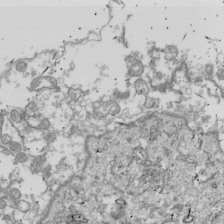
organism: Drosophila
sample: Cell division; meiosis; drosophila spermatocytes